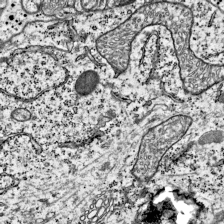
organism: Mouse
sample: Visual Cortex